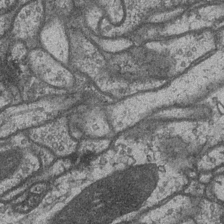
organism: Drosophila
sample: Optic medulla